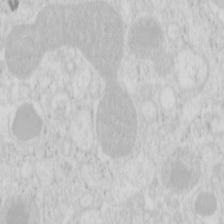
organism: Mouse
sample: Pancreas